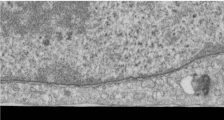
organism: Human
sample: Centriole in RPE cells